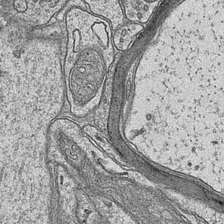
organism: Mouse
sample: CA1 Hippocampus